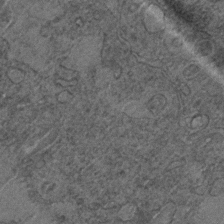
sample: Trachea